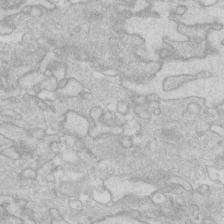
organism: Human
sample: Fibroblast cells